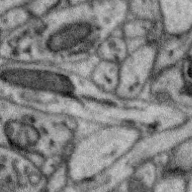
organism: Zebra finch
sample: Brain